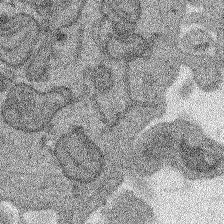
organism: Human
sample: HeLa cells